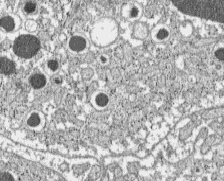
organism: C57BL Mouse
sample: Pancreatic islet